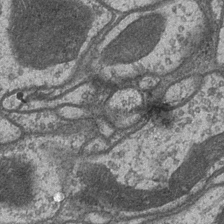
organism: Drosophila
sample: Optic medulla